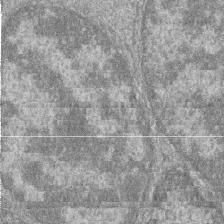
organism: Zebrafish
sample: Cilia; retinal pigment epithelium